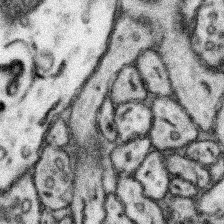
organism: Mouse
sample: Somatosensory cortex neuropil